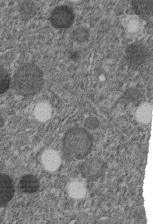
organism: C. elegans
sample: C. elegans embryo early stage